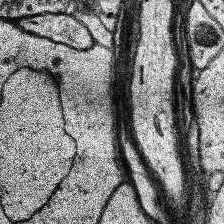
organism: Human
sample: Temporal Lobe